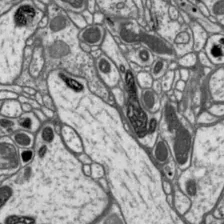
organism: Drosophila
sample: Protocerebral bridge